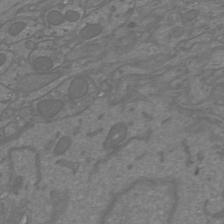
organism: Mouse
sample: Cortical neurons